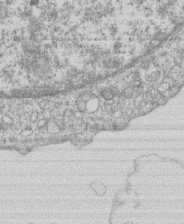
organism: Human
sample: Macrophage cells